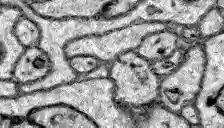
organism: Zebrafish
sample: Brain